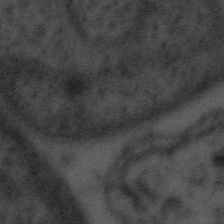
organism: Tuwongella immobilis